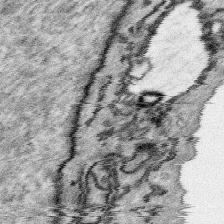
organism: Human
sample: HeLa cells